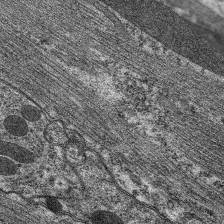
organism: C. elegans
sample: Pharynx